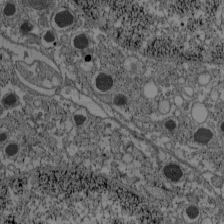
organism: C57BL Mouse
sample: Pancreatic islet